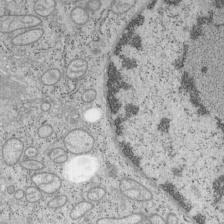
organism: Mouse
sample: OT-I killer T cells with ID8 ovarian cancer cells